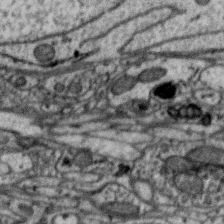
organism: Zebra finch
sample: Brain